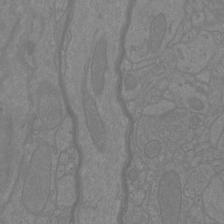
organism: Mouse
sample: Cortical neurons